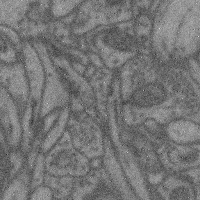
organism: Mouse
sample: Cerebral cortex